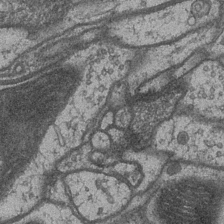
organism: Drosophila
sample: Optic medulla